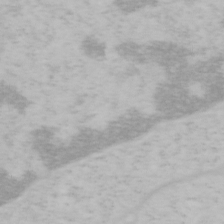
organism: Mouse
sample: OT-I killer T cells with ID8 ovarian cancer cells